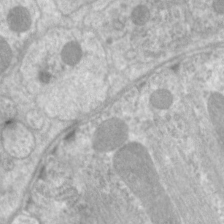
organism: C. elegans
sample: Pharynx